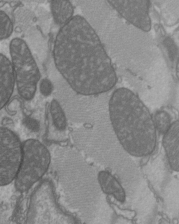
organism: C57BL Mouse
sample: Heart